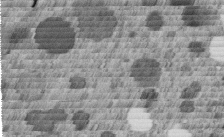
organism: C. elegans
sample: C. elegans embryo early stage